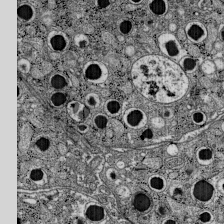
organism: C57BL Mouse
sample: Pancreatic islet